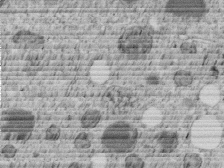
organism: C. elegans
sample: C. elegans embryo early stage